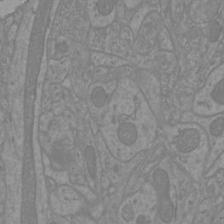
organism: Mouse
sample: Cortical neurons